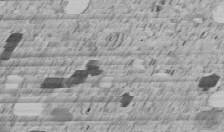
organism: C. elegans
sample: C. elegans embryo early stage